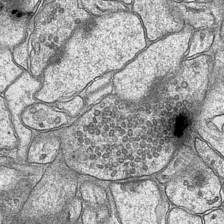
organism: Mouse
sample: CA1 Hippocampus